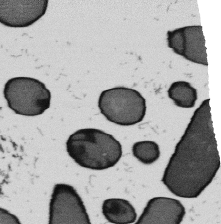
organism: B. subtilis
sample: Bacterial spore